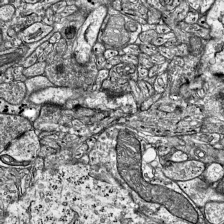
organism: Mouse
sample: Visual Cortex